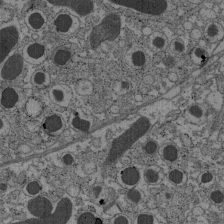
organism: C57BL Mouse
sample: Pancreatic islet